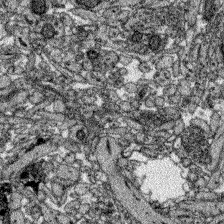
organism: Zebrafish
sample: Larval olfactory bulb